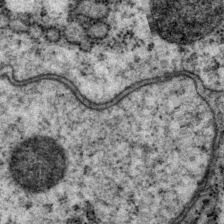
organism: P. pacificus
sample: Pharynx